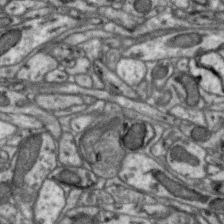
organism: Zebra finch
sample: Brain